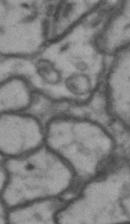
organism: Drosophila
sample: Brain